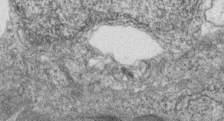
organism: Zebrafish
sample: Cilia; retinal pigment epithelium